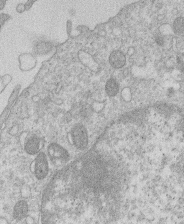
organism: Human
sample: Macrophage cells